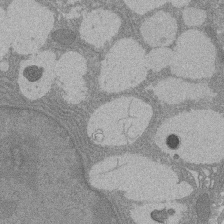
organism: Rat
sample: Salivary granule